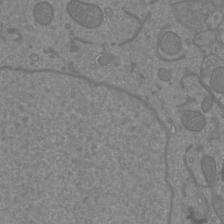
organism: Mouse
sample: Cortical neurons